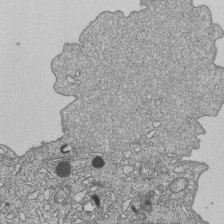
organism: Human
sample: MDA-MB-231 cells